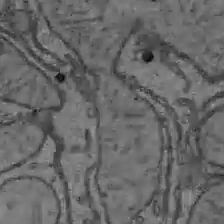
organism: C57BL Mouse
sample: Liver